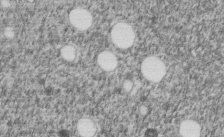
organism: C. elegans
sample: C. elegans embryo early stage